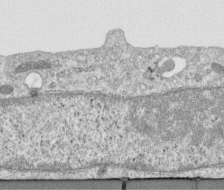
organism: Human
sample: Centriole in RPE cells